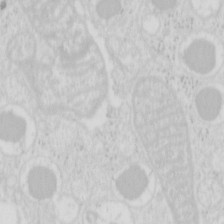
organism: Mouse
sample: Pancreas